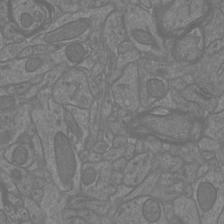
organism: Mouse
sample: Cortical neurons